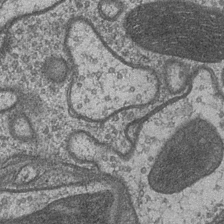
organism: Drosophila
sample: Optic medulla